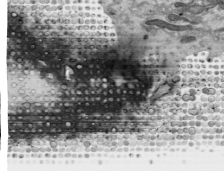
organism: Human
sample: Mitochondria in HCT116 cells